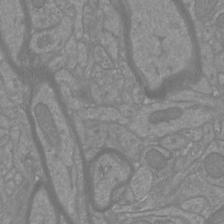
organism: Mouse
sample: Cortical neurons